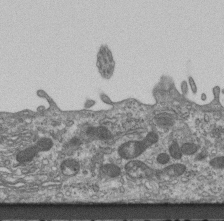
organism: Mouse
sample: Centriole in ependymal cells